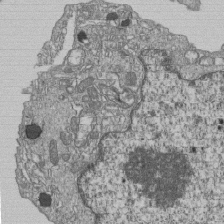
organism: Human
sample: MDA-MB-231 cells